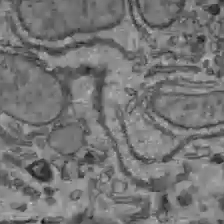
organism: C57BL Mouse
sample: Liver